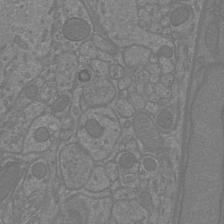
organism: Mouse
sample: Cortical neurons